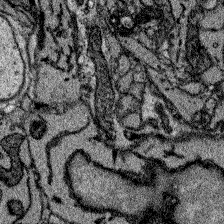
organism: Zebrafish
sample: Larval olfactory bulb